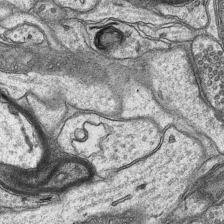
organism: Mouse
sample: CA1 Hippocampus